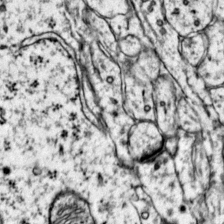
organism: Mouse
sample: Primary visual cortex